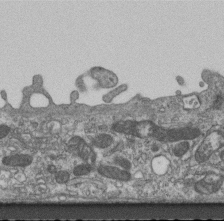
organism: Mouse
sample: Centriole in ependymal cells